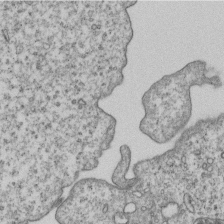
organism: Human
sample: MDA-MB-231 cells